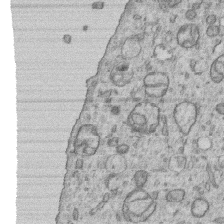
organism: Human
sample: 1205lu cells